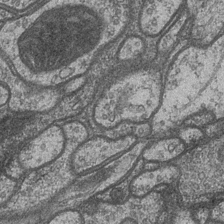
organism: Drosophila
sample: Optic medulla